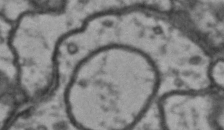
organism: Drosophila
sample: Brain